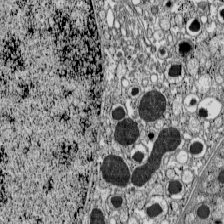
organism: C57BL Mouse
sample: Pancreatic islet